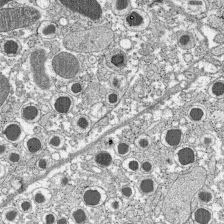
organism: C57BL Mouse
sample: Pancreatic islet